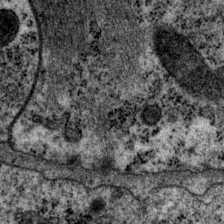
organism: P. pacificus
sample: Pharynx